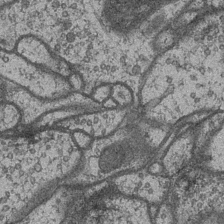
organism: Drosophila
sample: Optic medulla